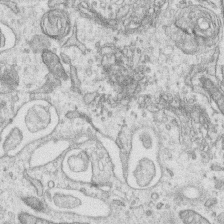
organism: Human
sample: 1205lu cells